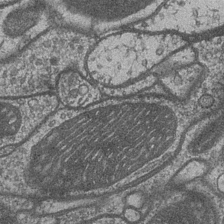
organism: Drosophila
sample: Optic medulla